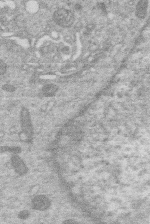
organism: Human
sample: Macrophage cells